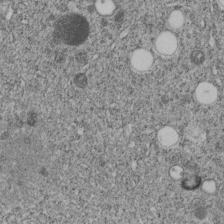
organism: C. elegans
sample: C. elegans embryo early stage